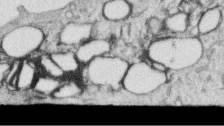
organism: Human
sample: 1205lu cells